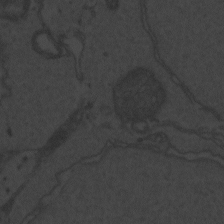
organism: Zebrafish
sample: Macrophage infected with Toxoplasma gondii